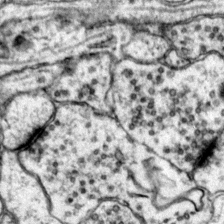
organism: Mouse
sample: Primary visual cortex